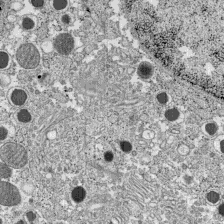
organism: C57BL Mouse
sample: Pancreatic islet